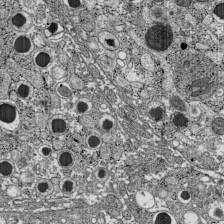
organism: C57BL Mouse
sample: Pancreatic islet